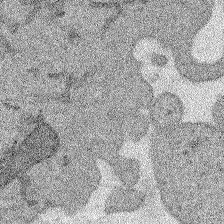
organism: Human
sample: HeLa cells